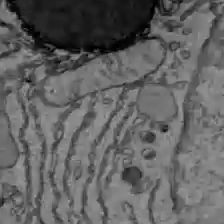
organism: C57BL Mouse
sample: Liver